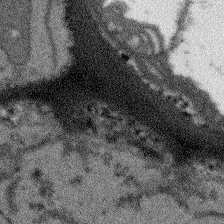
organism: Arabidopsis thaliana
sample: Root tip